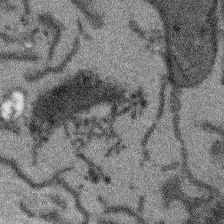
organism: Arabidopsis thaliana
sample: Root tip